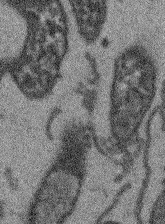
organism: Arabidopsis thaliana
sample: Root tip